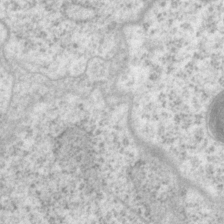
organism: P. pacificus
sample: Pharynx